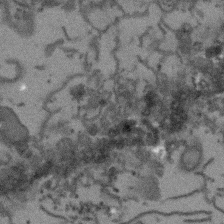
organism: Arabidopsis thaliana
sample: Root tip